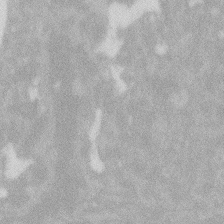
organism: Zebrafish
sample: Macrophage